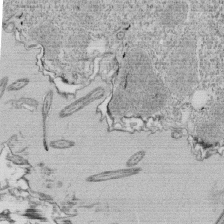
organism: Tetrahymena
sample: Cilia in tetrahymena